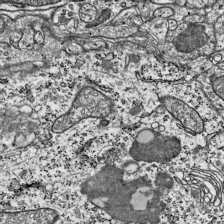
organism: Mouse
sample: Visual Cortex